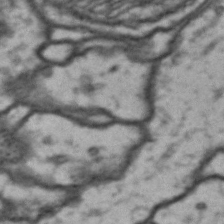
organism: Drosophila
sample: Brain